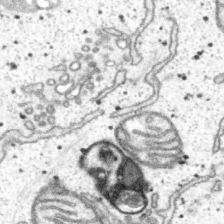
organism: Human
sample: HeLa cells